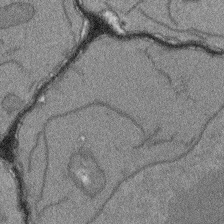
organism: Arabidopsis thaliana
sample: Root tip